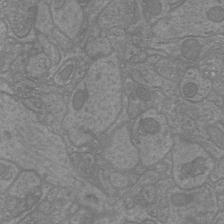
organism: Mouse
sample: Cortical neurons